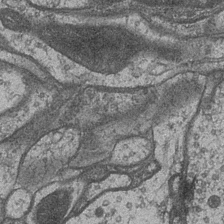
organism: Drosophila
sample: Optic medulla